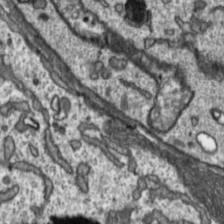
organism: Toxoplasma gondii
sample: Parasites in a vacuole inside a host cell